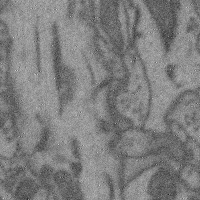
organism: Mouse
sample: Cerebral cortex